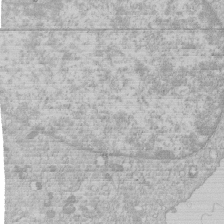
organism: Human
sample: Macrophage cells